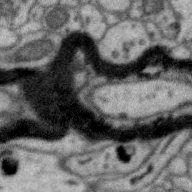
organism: Zebra finch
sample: Brain